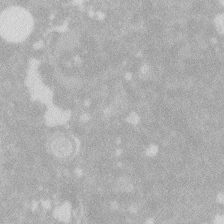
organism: Zebrafish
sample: Macrophage